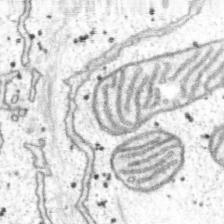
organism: Human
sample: HeLa cells